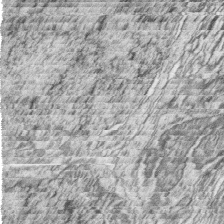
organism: Zebrafish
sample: synaptic ribbons in rod cells and cone cells